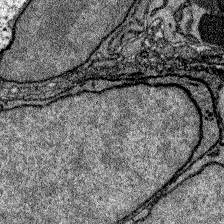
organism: Zebrafish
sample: Larval olfactory bulb